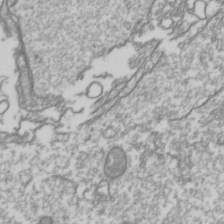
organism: Drosophila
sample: Cell division; meiosis; drosophila spermatocytes